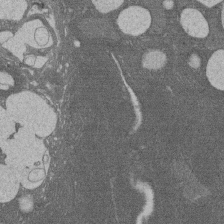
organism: Rat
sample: Salivary granule